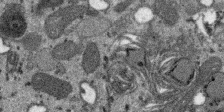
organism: Human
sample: Lung epithelial cells infected with SARS-CoV-2